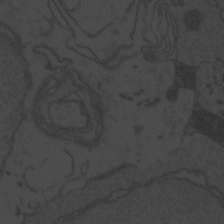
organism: Zebrafish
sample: Macrophage infected with Toxoplasma gondii